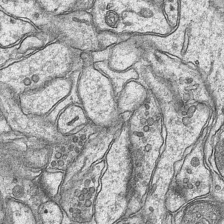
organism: Mouse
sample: CA1 Hippocampus